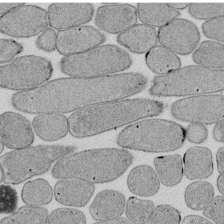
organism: E. coli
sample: Bacterial nucleoid